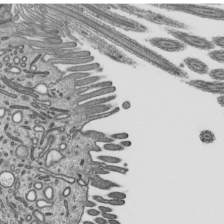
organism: Mouse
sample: Mouse epididymis efferent ductule cilia